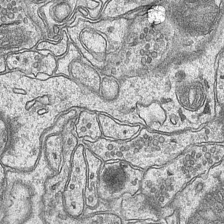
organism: Mouse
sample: CA1 Hippocampus